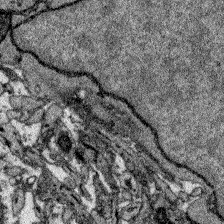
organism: Zebrafish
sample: Larval olfactory bulb